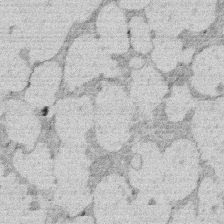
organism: Rat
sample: Salivary granule